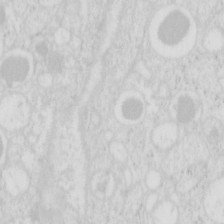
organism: Mouse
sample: Pancreas